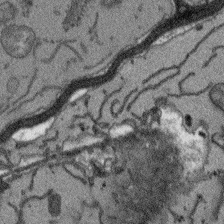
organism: Arabidopsis thaliana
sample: Root tip